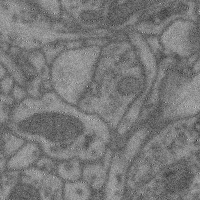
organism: Mouse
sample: Cerebral cortex